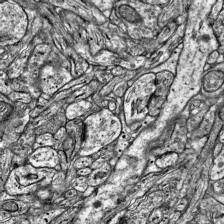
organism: Mouse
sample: Visual Cortex